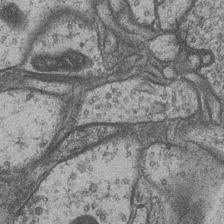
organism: Drosophila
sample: Optic medulla